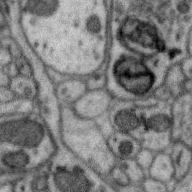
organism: Zebra finch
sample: Brain